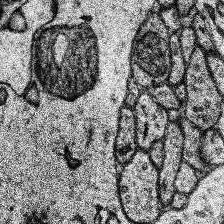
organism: Human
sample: Temporal Lobe